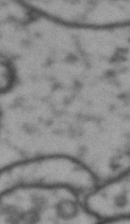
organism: Drosophila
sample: Brain